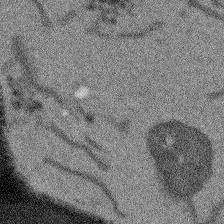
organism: Arabidopsis thaliana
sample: Root tip